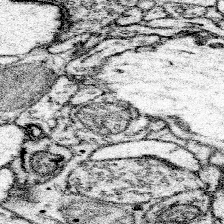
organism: Mouse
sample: Somatosensory cortex neuropil